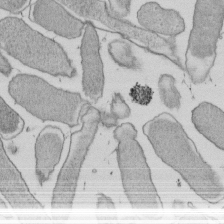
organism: E. coli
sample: Bacterial nucleoid